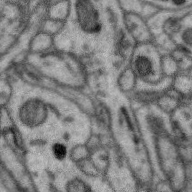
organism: Zebra finch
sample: Brain